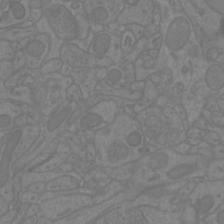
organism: Mouse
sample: Cortical neurons